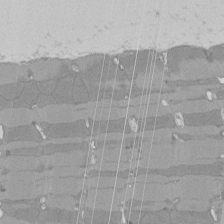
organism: Rat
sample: Left ventricle